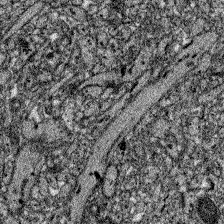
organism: Zebrafish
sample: Larval olfactory bulb